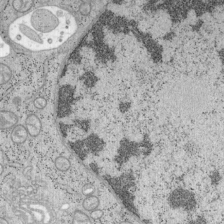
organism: Mouse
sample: OT-I killer T cells with ID8 ovarian cancer cells